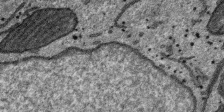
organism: Human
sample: Lung epithelial cells, uninfected (mock) control